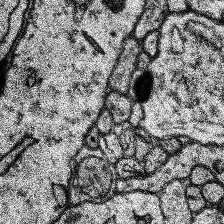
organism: Human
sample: Temporal Lobe